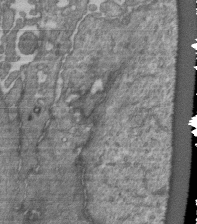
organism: Human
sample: Retinal organoid Rod and Cone cells